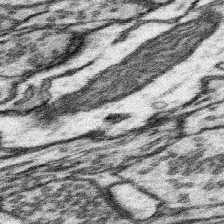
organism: Mouse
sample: Somatosensory cortex neuropil